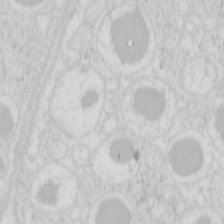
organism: Mouse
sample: Pancreas